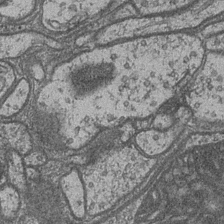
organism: Drosophila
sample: Optic medulla